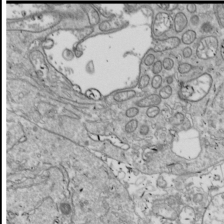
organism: Drosophila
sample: Cell division; meiosis; drosophila spermatocytes